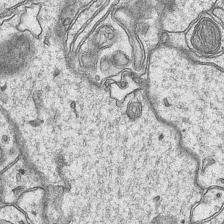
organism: Mouse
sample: CA1 Hippocampus